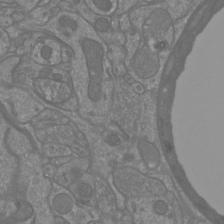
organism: Mouse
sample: Cortical neurons